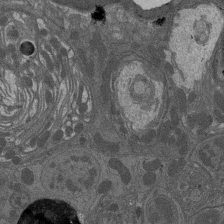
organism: Drosophila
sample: Antenna